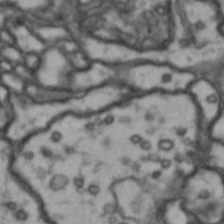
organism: Drosophila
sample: Brain